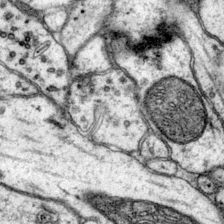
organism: Mouse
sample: Primary visual cortex